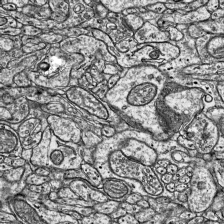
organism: Mouse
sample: Visual Cortex